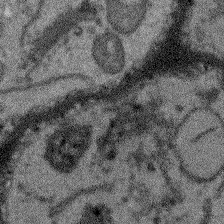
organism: Arabidopsis thaliana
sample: Root tip